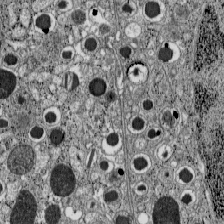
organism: C57BL Mouse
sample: Pancreatic islet